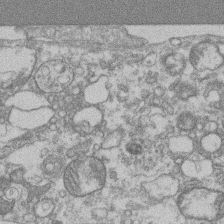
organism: Mouse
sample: T cell stromal cell synapse